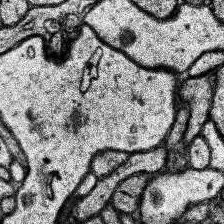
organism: Human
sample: Temporal Lobe